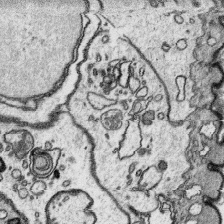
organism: Platynereis dumerilii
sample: Parapodia